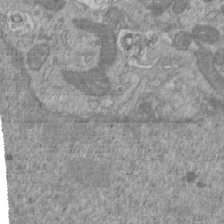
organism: Mouse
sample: ED-1 cell nuclei; centrioles